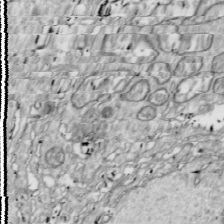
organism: Drosophila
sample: Cell division; meiosis; drosophila spermatocytes